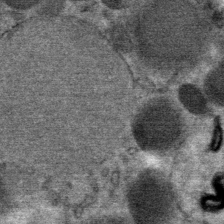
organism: Mouse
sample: Mouse Salivary gland